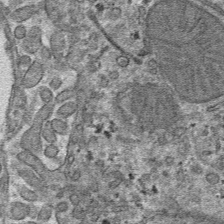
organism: Mouse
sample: Mouse hepatocytes